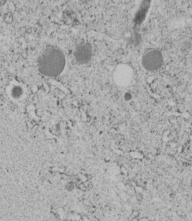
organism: C. elegans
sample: C. elegans embryo early stage